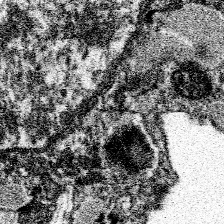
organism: Spongilla lacustris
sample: Neuroid cell